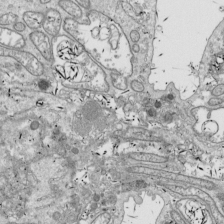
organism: Drosophila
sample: Cell division; meiosis; drosophila spermatocytes